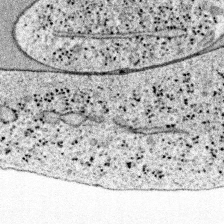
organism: Human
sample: HeLa cells